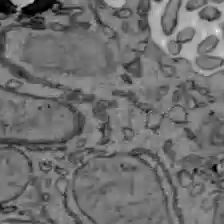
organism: C57BL Mouse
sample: Liver